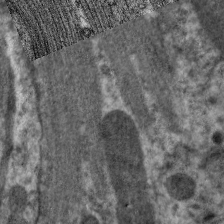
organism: C. elegans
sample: Pharynx